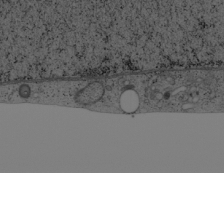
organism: African green monkey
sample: COS-7 cells